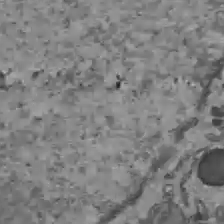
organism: C57BL Mouse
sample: Liver